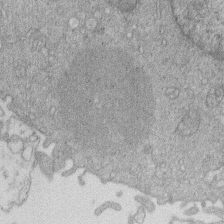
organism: Human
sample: Macrophage cells